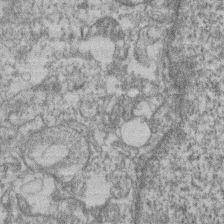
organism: Mouse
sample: T cell stromal cell synapse